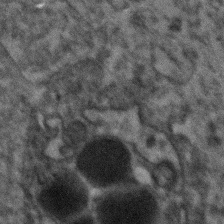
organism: Human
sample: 1205lu cells